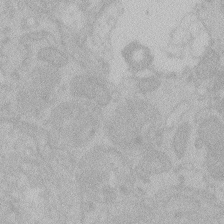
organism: Zebrafish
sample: Macrophage infected with Toxoplasma gondii